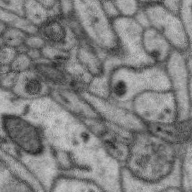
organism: Zebra finch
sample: Brain